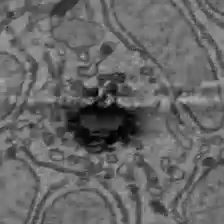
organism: C57BL Mouse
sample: Liver